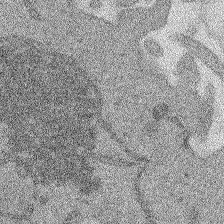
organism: Human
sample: HeLa cells